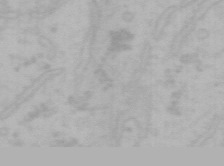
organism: Mouse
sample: Choroid plexus